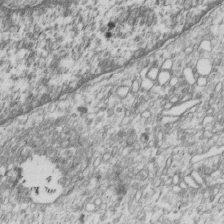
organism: Human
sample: MDA-MB-231 cells